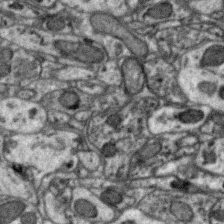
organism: Zebra finch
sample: Brain